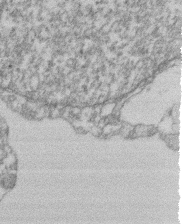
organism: Mouse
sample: T cell stromal cell synapse